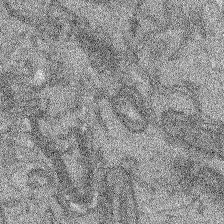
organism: Human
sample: HeLa cells